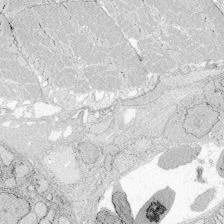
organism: Zebrafish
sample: Whole-Brain